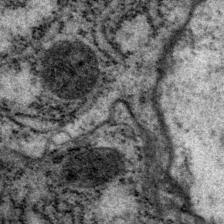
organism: P. pacificus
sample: Pharynx